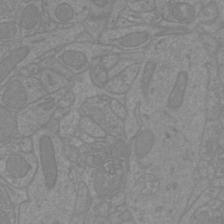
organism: Mouse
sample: Cortical neurons